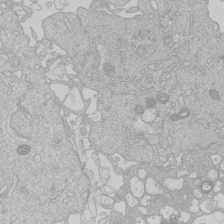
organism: Human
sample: Macrophage cells